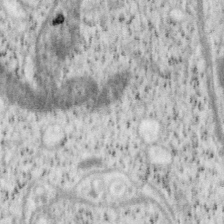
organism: Mouse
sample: OT-I killer T cells with ID8 ovarian cancer cells